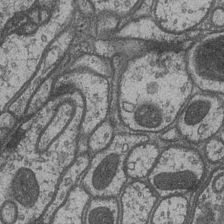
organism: Drosophila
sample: Optic medulla